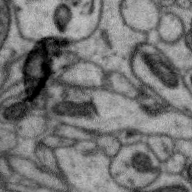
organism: Zebra finch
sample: Brain